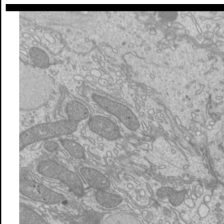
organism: Mouse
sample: Cilia; mouse epididymis